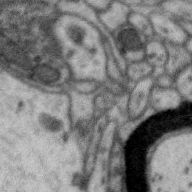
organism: Zebra finch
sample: Brain